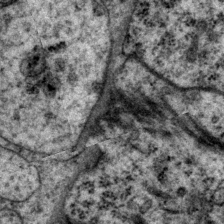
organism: P. pacificus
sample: Pharynx